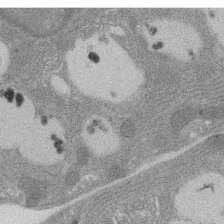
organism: Rat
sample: Salivary granule